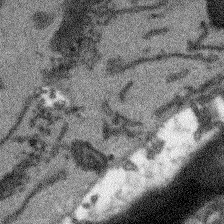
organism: Arabidopsis thaliana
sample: Root tip